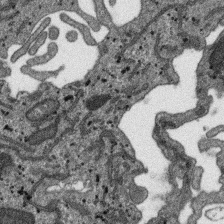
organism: Human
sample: Lung epithelial cells infected with SARS-CoV-2